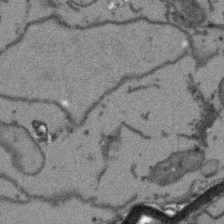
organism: Arabidopsis thaliana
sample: Root tip